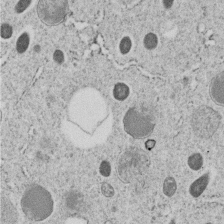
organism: C. elegans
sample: C. elegans embryo early stage